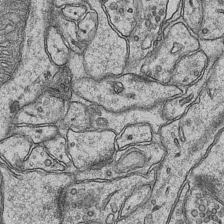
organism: Mouse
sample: CA1 Hippocampus